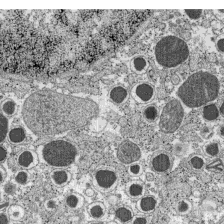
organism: C57BL Mouse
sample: Pancreatic islet